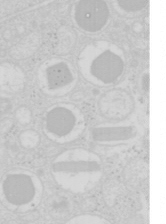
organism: Mouse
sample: Pancreas